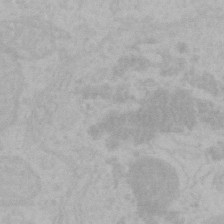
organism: Mouse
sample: Choroid plexus